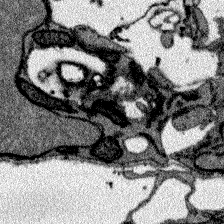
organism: Zebrafish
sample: Larval olfactory bulb